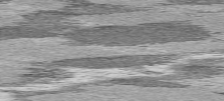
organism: C57BL Mouse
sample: Heart